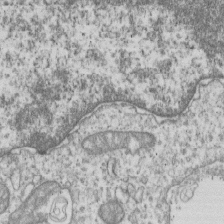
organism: Human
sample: MDA-MB-231 cells